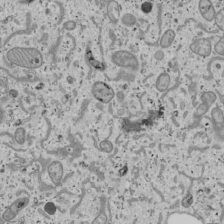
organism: Human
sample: Mitochondria in U2OS cells